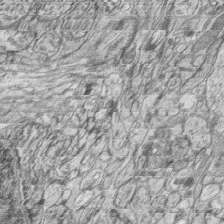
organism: Zebrafish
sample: synaptic ribbons in rod cells and cone cells